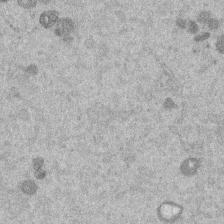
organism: Mouse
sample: Dividing mouse embryo 1 cell stage